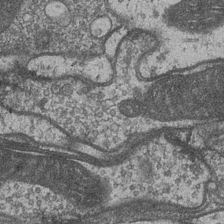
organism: Drosophila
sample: Optic medulla